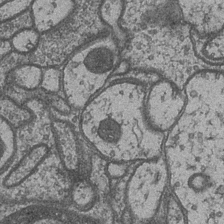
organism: Drosophila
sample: Optic medulla